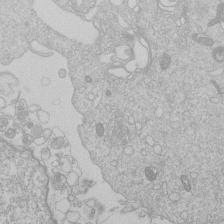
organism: Human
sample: Macrophage cells